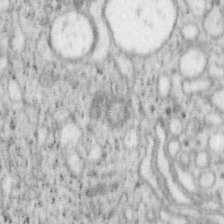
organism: Mouse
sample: OT-I killer T cells with ID8 ovarian cancer cells